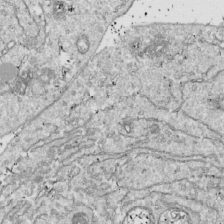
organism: Drosophila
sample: Cell division; meiosis; drosophila spermatocytes